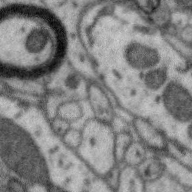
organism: Zebra finch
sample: Brain